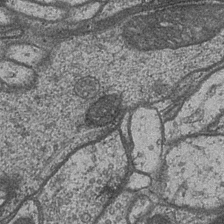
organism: Drosophila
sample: Optic medulla